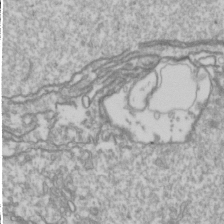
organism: Drosophila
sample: Cell division; meiosis; drosophila spermatocytes